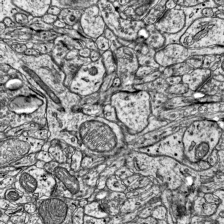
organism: Mouse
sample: Visual Cortex